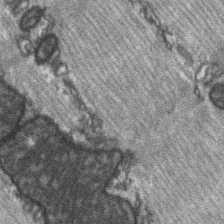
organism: C57BL Mouse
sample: Soleus